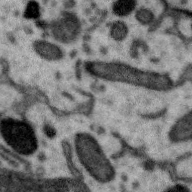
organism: Zebra finch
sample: Brain